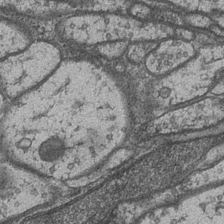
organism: Drosophila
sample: Optic medulla